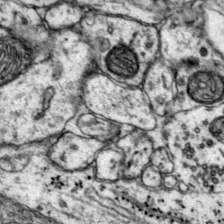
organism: Mouse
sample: Primary visual cortex